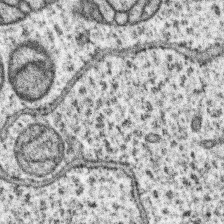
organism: Human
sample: HeLa cells